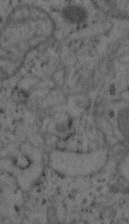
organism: Human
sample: HeLa cells